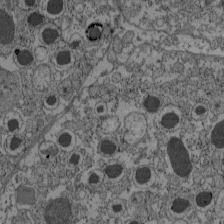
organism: C57BL Mouse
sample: Pancreatic islet